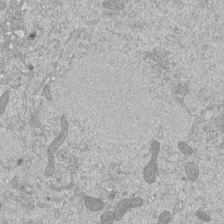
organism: Mouse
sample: ED-1 cell nuclei; centrioles